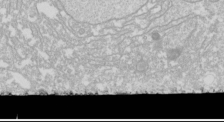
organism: Drosophila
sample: Cell division; meiosis; drosophila spermatocytes